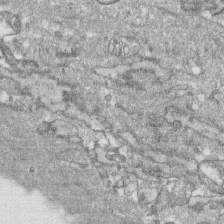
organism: Human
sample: CRL-1474